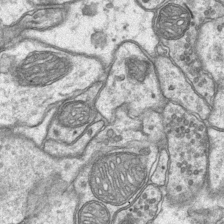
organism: Mouse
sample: CA1 Hippocampus